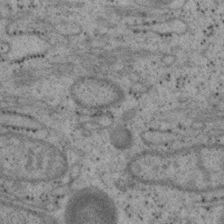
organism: Human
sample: HeLa cells